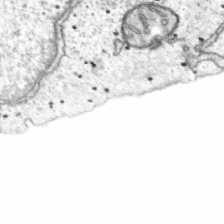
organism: Human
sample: HeLa cells